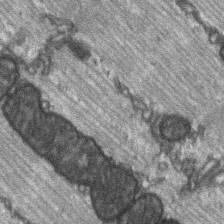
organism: C57BL Mouse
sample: Soleus